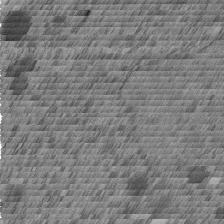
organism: C. elegans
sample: C. elegans embryo early stage